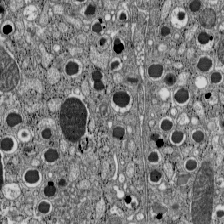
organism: C57BL Mouse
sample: Pancreatic islet